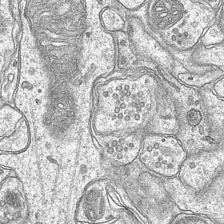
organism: Mouse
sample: CA1 Hippocampus